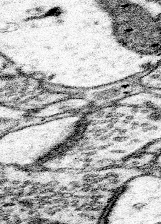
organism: Mouse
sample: Somatosensory cortex neuropil